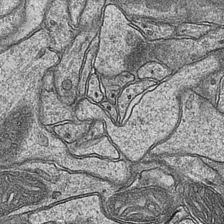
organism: Mouse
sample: CA1 Hippocampus